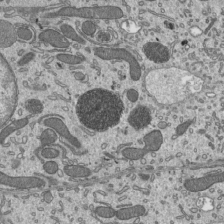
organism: Mouse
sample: Mouse epididymis efferent ductule cilia